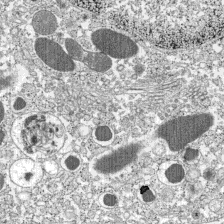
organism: C57BL Mouse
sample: Pancreatic islet